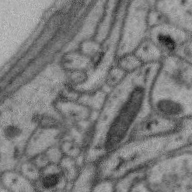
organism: Zebra finch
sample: Brain